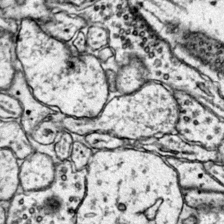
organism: Mouse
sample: Primary visual cortex